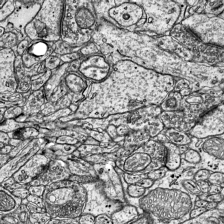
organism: Mouse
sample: Visual Cortex